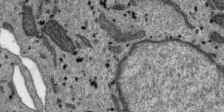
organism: Human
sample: Lung epithelial cells, uninfected (mock) control